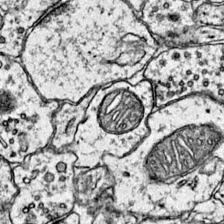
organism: Mouse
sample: Primary visual cortex